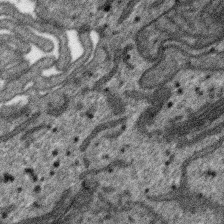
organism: Human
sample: Lung epithelial cells infected with SARS-CoV-2